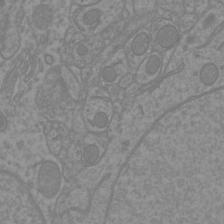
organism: Mouse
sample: Cortical neurons